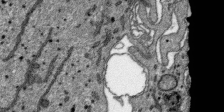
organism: Human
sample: Lung epithelial cells, uninfected (mock) control